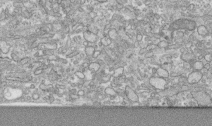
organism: Human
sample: Centriole in RPE cells